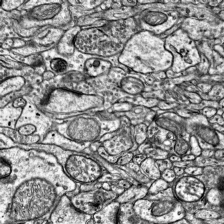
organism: Mouse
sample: Visual Cortex